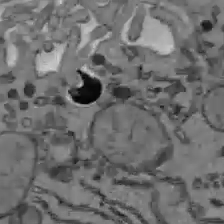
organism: C57BL Mouse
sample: Liver